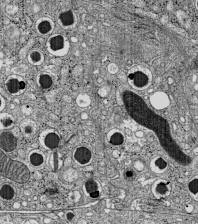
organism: C57BL Mouse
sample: Pancreatic islet